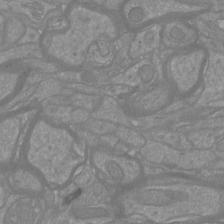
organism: Mouse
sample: Cortical neurons